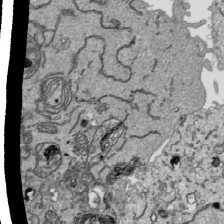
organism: Human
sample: Mitochondria in HCT116 cells